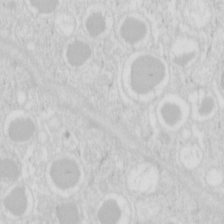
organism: Mouse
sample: Pancreas